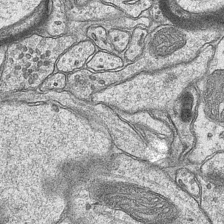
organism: Mouse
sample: CA1 Hippocampus